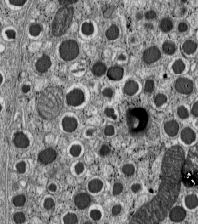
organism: C57BL Mouse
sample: Pancreatic islet